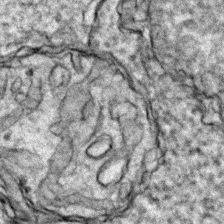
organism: Zebrafish